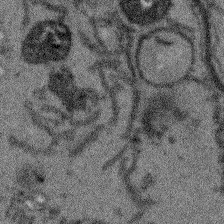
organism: Arabidopsis thaliana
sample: Root tip